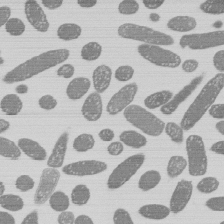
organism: E. coli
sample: Bacterial nucleoid